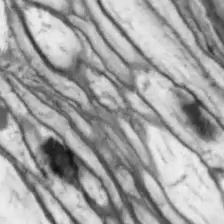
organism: Drosophila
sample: Optic lobe